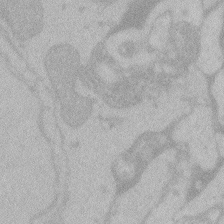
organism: Zebrafish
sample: Macrophage infected with Toxoplasma gondii